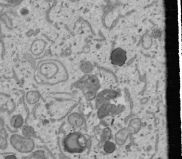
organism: Human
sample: Mitochondria in U2OS cells